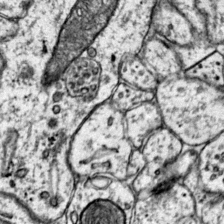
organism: Mouse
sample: Primary visual cortex